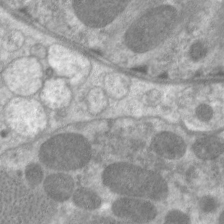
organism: C. elegans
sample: Pharynx